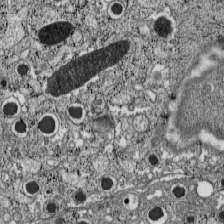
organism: C57BL Mouse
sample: Pancreatic islet